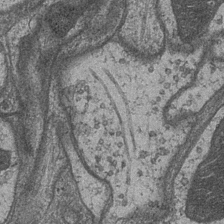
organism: Drosophila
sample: Optic medulla